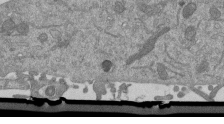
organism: Mouse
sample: ED-1 cell nuclei; centrioles